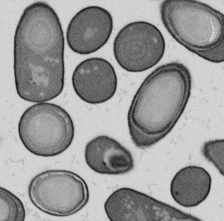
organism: B. subtilis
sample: Bacterial spore